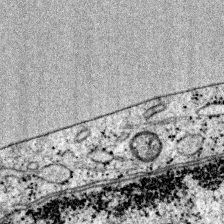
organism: Human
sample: HeLa cells